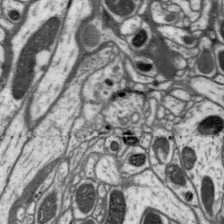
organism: Drosophila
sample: Protocerebral bridge